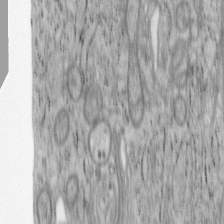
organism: Human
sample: HeLa cells